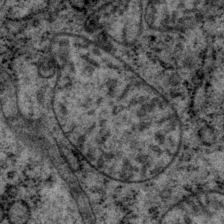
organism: P. pacificus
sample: Pharynx